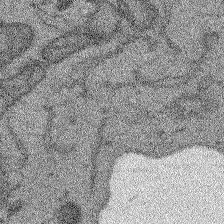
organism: Human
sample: HeLa cells